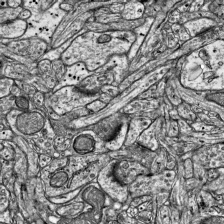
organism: Mouse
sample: Visual Cortex